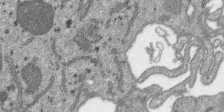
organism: Human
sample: Lung epithelial cells infected with SARS-CoV-2